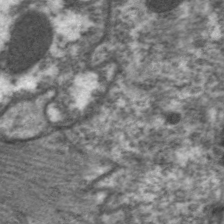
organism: C. elegans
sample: Pharynx